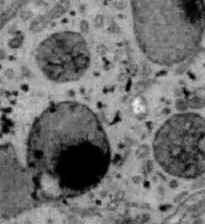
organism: Mouse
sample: Liver from an obese (ob/ob) mouse